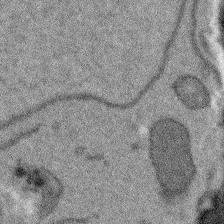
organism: Arabidopsis thaliana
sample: Root tip